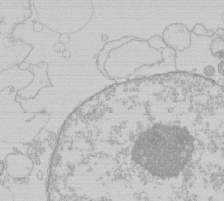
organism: Human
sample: Macrophage cells